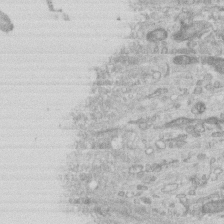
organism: Mouse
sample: Centriole in ependymal cells